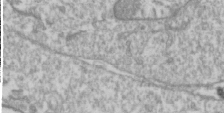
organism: Drosophila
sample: Cell division; meiosis; drosophila spermatocytes